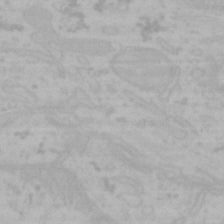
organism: Mouse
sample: Choroid plexus